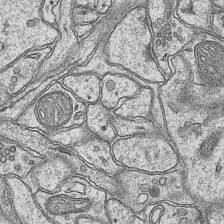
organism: Mouse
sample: CA1 Hippocampus